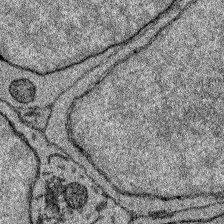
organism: Zebrafish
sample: Larval olfactory bulb